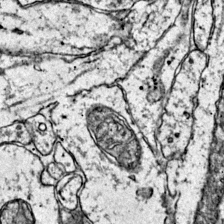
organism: Mouse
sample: Primary visual cortex